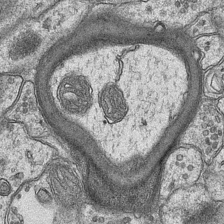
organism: Mouse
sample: CA1 Hippocampus